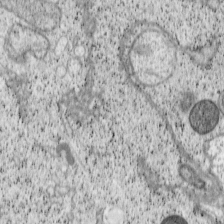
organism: African green monkey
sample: COS-7 cells